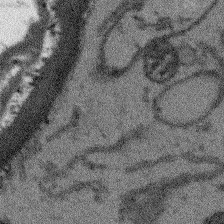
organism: Arabidopsis thaliana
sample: Root tip